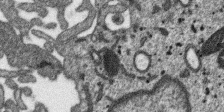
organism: Human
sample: Lung epithelial cells infected with SARS-CoV-2